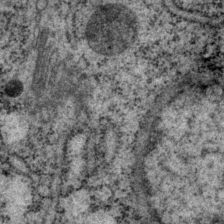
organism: P. pacificus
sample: Pharynx